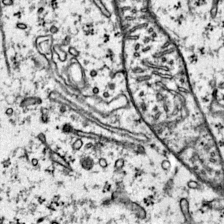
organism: Mouse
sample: Primary visual cortex